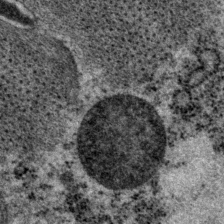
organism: P. pacificus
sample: Pharynx